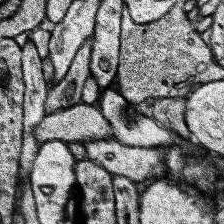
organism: Human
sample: Temporal Lobe